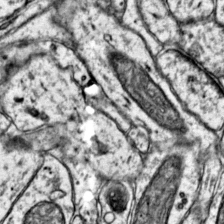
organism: Mouse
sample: Primary visual cortex